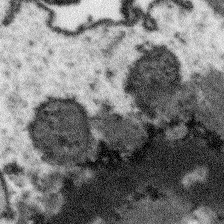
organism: Arabidopsis thaliana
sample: Root tip